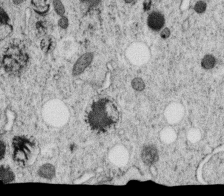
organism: C. elegans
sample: C. elegans oocyte; sperm cells